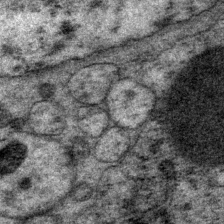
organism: P. pacificus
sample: Pharynx